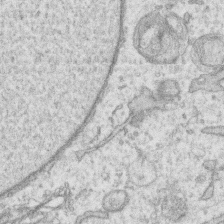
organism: Human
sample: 1205lu cells